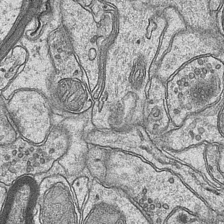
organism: Mouse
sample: CA1 Hippocampus